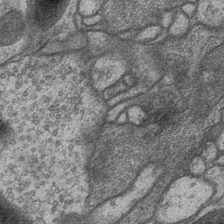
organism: Drosophila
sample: Optic medulla